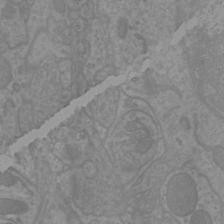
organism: Mouse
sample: Cortical neurons